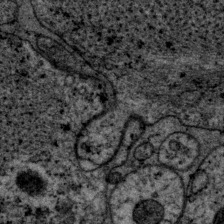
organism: P. pacificus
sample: Pharynx